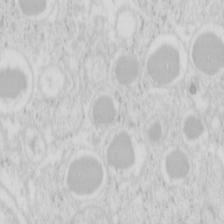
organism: Mouse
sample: Pancreas